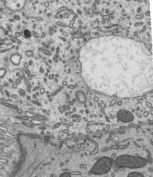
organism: Mouse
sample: Mouse epididymis efferent ductule cilia